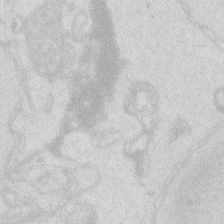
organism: Zebrafish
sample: Macrophage